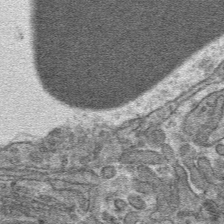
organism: Mouse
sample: Mouse hepatocytes